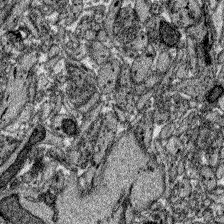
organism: Zebrafish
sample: Larval olfactory bulb